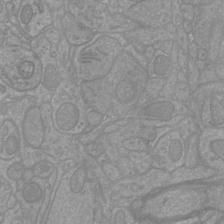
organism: Mouse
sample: Cortical neurons